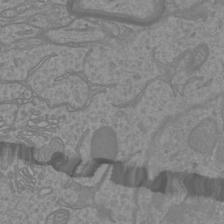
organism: Mouse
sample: Cortical neurons